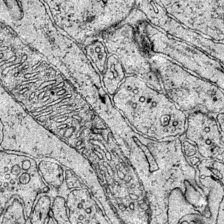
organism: Mouse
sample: Primary visual cortex